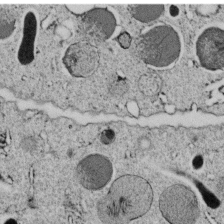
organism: C. elegans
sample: C. elegans embryo early stage